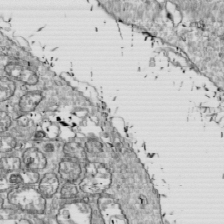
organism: Drosophila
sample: Cell division; meiosis; drosophila spermatocytes